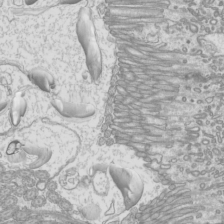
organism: Mouse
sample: Cilia; mouse epididymis